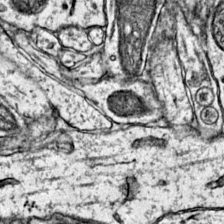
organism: Mouse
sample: Primary visual cortex